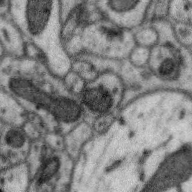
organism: Zebra finch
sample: Brain